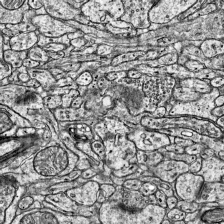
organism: Mouse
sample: Visual Cortex